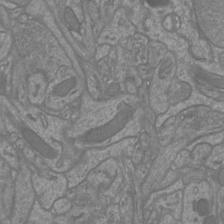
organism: Mouse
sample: Cortical neurons